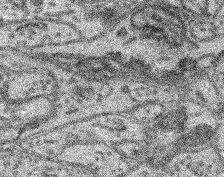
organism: Mouse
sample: Retina